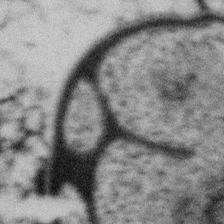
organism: Gemmata obscuriglobus